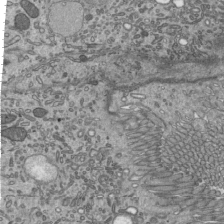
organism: Mouse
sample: Mouse epididymis efferent ductule cilia